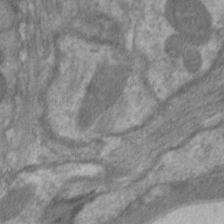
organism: C. elegans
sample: Pharynx